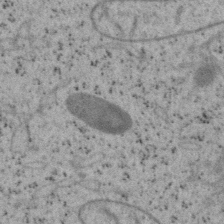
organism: Human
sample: HeLa cells